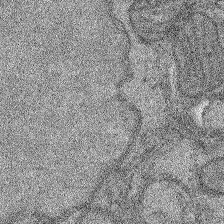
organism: Human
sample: HeLa cells